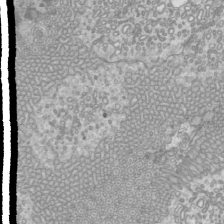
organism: Mouse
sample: Cilia; mouse epididymis